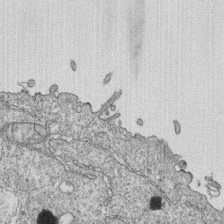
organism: Human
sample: HeLa cell HIV synapse